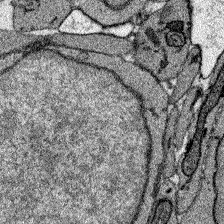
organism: Zebrafish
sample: Larval olfactory bulb